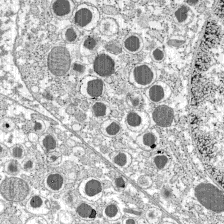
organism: C57BL Mouse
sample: Pancreatic islet